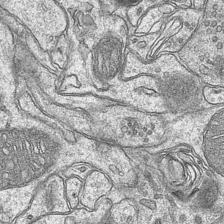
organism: Mouse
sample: CA1 Hippocampus